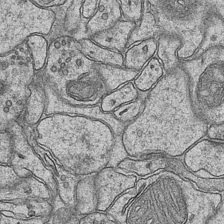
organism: Mouse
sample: CA1 Hippocampus